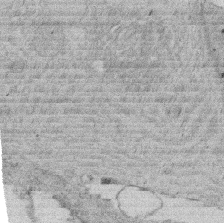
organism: Rat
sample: Salivary granule